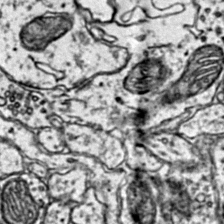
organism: Mouse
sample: Primary visual cortex